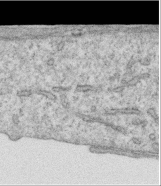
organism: Human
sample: Centriole in RPE cells